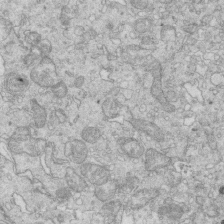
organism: Mouse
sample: Multiciliated cells